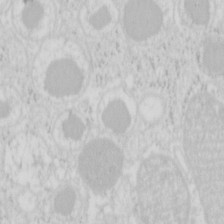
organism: Mouse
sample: Pancreas